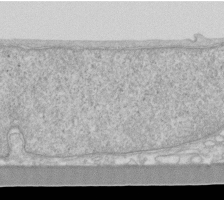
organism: Human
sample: Fibroblast cells